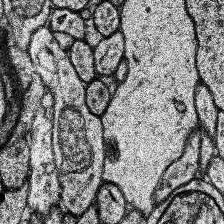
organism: Human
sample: Temporal Lobe